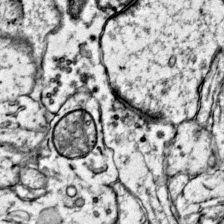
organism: Mouse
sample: Primary visual cortex